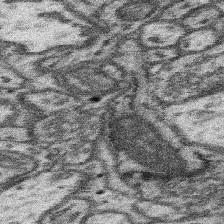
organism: Mouse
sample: Somatosensory cortex neuropil